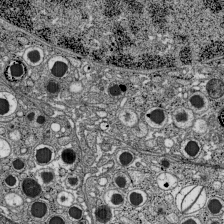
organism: C57BL Mouse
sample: Pancreatic islet